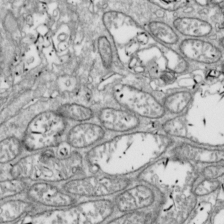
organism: Drosophila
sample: Cell division; meiosis; drosophila spermatocytes